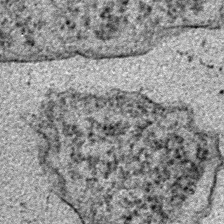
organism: E. coli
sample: E. Coli Bacteria